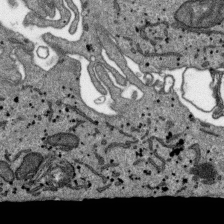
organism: Human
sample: Lung epithelial cells, uninfected (mock) control